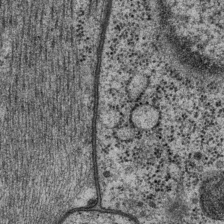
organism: P. pacificus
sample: Pharynx